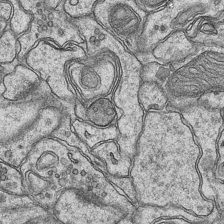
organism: Mouse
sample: CA1 Hippocampus